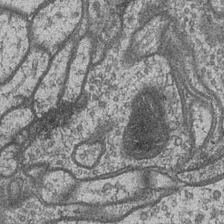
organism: Drosophila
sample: Optic medulla